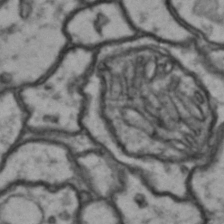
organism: Drosophila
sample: Brain